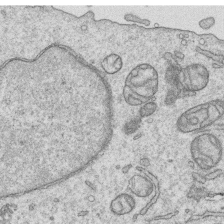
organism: Human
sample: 1205lu cells